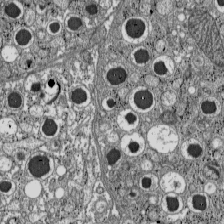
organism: C57BL Mouse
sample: Pancreatic islet